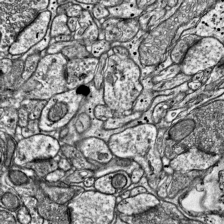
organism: Mouse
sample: Visual Cortex